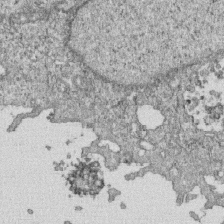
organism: Human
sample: HeLa cell HIV synapse